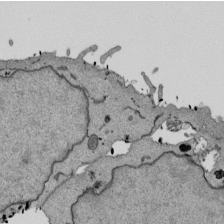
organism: Mouse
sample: ED-1 cell nuclei; centrioles